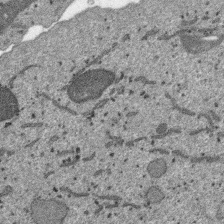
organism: Human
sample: Lung epithelial cells infected with SARS-CoV-2